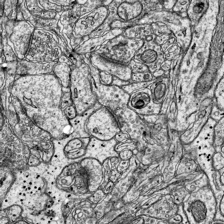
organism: Mouse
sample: Visual Cortex